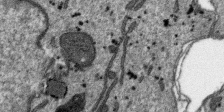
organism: Human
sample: Lung epithelial cells, uninfected (mock) control